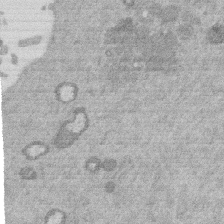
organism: Mouse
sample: Dividing mouse embryo 1 cell stage